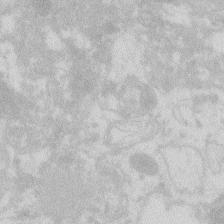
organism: Zebrafish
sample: Macrophage